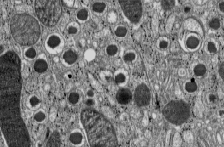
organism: C57BL Mouse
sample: Pancreatic islet